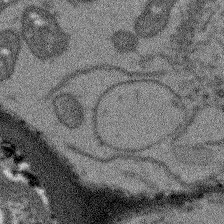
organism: Arabidopsis thaliana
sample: Root tip